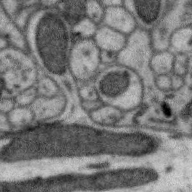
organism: Zebra finch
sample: Brain